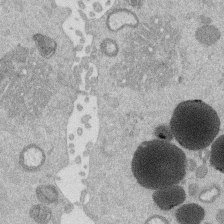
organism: Mouse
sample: Dividing mouse embryo 1 cell stage